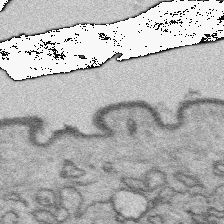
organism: Platynereis dumerilii